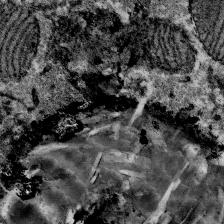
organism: Mouse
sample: Mouse Salivary gland